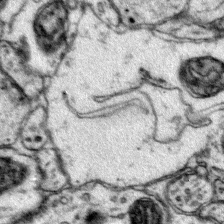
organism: Mouse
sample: Primary visual cortex